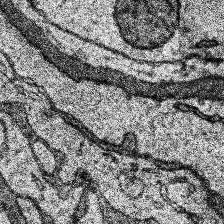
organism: Human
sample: Temporal Lobe